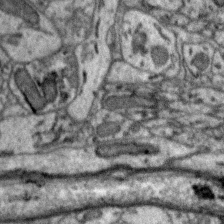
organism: Zebra finch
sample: Brain